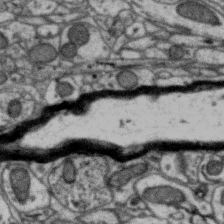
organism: Zebra finch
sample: Brain